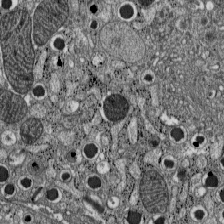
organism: C57BL Mouse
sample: Pancreatic islet